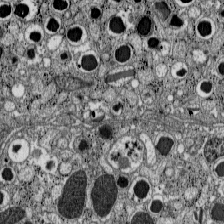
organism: C57BL Mouse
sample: Pancreatic islet